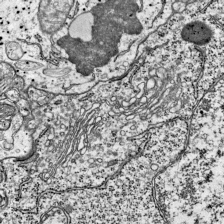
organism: Mouse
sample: Visual Cortex